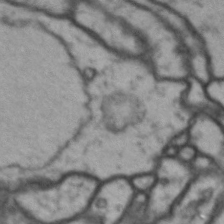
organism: Drosophila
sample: Brain